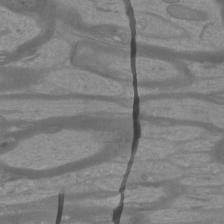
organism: Mouse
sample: Cortical neurons